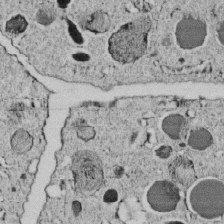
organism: C. elegans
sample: C. elegans embryo early stage